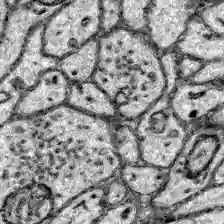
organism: Zebrafish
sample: Brain